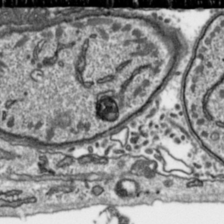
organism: Toxoplasma gondii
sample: Parasites in a vacuole inside a host cell